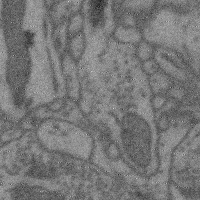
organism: Mouse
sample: Cerebral cortex